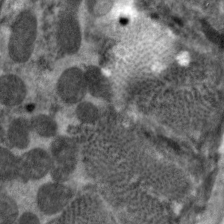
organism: C. elegans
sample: Pharynx